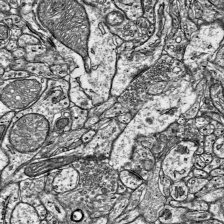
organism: Mouse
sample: Visual Cortex